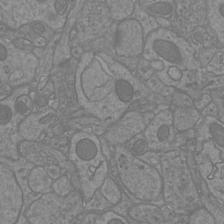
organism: Mouse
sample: Cortical neurons